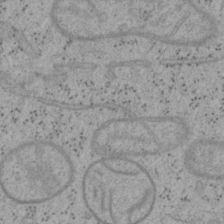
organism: Human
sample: HeLa cells